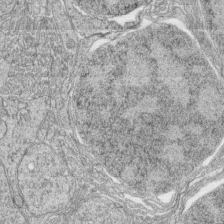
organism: Zebrafish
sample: synaptic ribbons in rod cells and cone cells